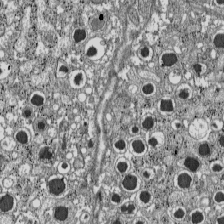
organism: C57BL Mouse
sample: Pancreatic islet